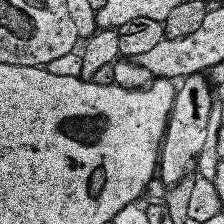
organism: Human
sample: Temporal Lobe